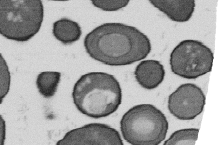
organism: B. subtilis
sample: Bacterial spore